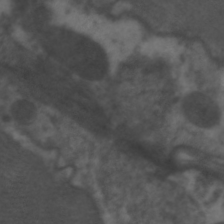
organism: C. elegans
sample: Pharynx